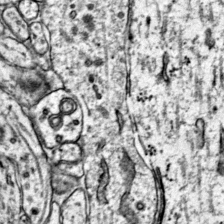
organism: Mouse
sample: Primary visual cortex